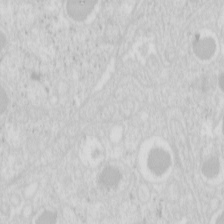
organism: Mouse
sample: Pancreas